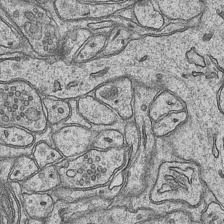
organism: Mouse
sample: CA1 Hippocampus